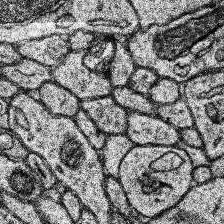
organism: Human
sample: Temporal Lobe